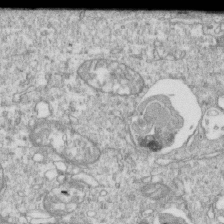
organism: Mouse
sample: Activated OT-1 CD8+ T cells